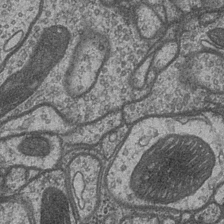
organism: Drosophila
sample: Optic medulla